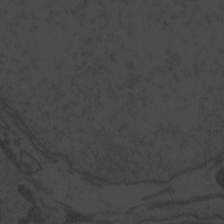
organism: Zebrafish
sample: Macrophage infected with Toxoplasma gondii